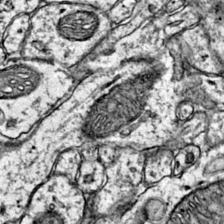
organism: Mouse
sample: Primary visual cortex